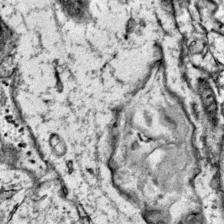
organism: Mouse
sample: Primary visual cortex